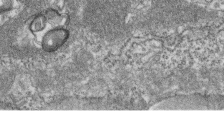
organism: Zebrafish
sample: Cilia; retinal pigment epithelium